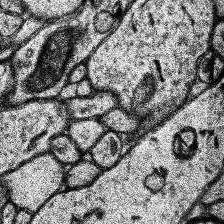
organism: Human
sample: Temporal Lobe